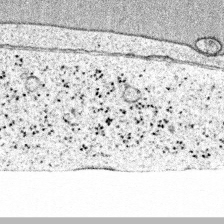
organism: Human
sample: HeLa cells